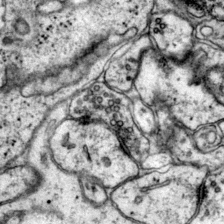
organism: Mouse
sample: Primary visual cortex